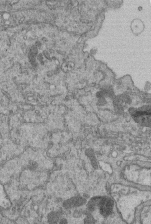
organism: Human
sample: Retinal organoid Rod and Cone cells